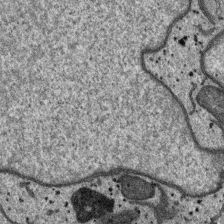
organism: Human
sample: Lung epithelial cells, uninfected (mock) control